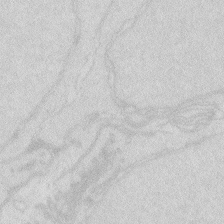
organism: Zebrafish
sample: Macrophage